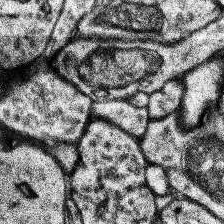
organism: Human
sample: Temporal Lobe